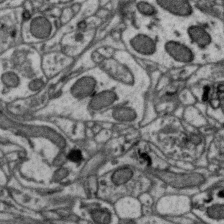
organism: Zebra finch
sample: Brain